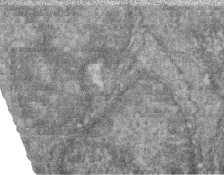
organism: Zebrafish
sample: Cilia; retinal pigment epithelium